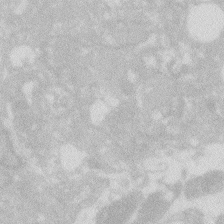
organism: Zebrafish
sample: Macrophage